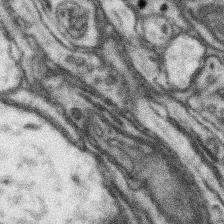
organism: Mouse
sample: Somatosensory cortex neuropil